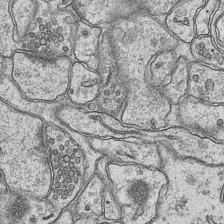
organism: Mouse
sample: CA1 Hippocampus